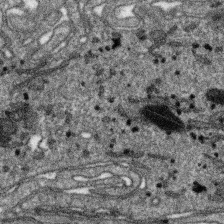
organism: Human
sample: Lung epithelial cells infected with SARS-CoV-2